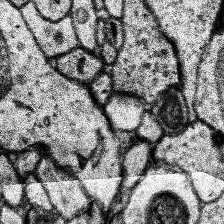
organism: Human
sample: Temporal Lobe